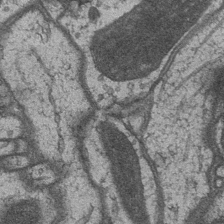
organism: Drosophila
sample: Optic medulla